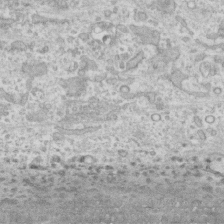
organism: Human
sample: CRL-1474